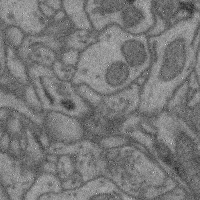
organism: Mouse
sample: Cerebral cortex